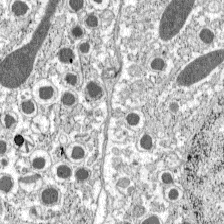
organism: C57BL Mouse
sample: Pancreatic islet